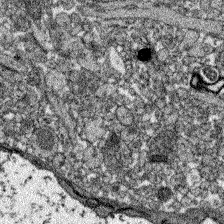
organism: Zebrafish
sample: Larval olfactory bulb